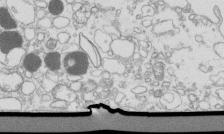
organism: Mouse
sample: Macrophages